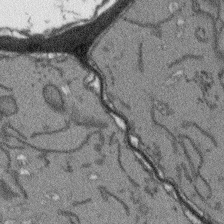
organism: Arabidopsis thaliana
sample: Root tip